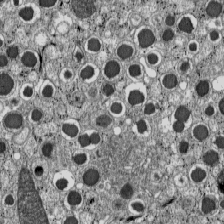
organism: C57BL Mouse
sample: Pancreatic islet